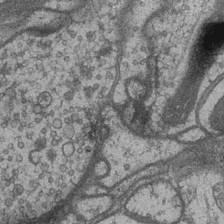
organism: Drosophila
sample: Optic medulla